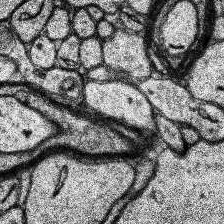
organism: Human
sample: Temporal Lobe